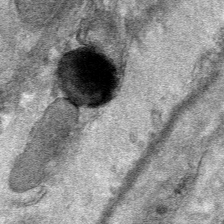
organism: Mouse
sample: Mouse Salivary gland